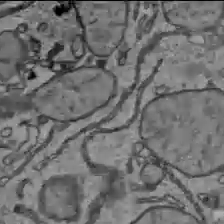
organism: C57BL Mouse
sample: Liver